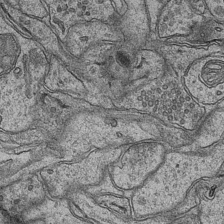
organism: Mouse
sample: CA1 Hippocampus